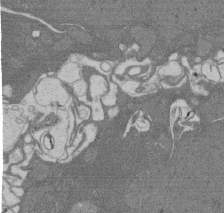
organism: Rat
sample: Salivary granule